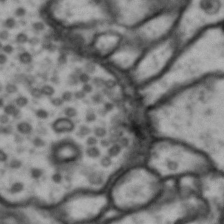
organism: Drosophila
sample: Brain